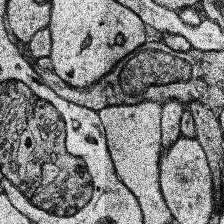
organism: Human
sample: Temporal Lobe